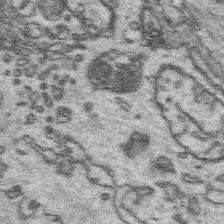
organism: Platynereis dumerilii